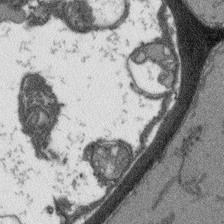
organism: Arabidopsis thaliana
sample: Root tip